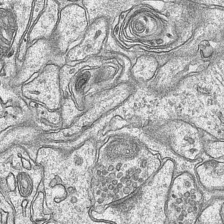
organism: Mouse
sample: CA1 Hippocampus